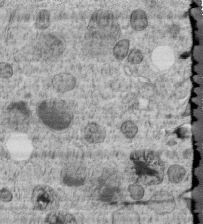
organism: C. elegans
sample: C. elegans embryo early stage